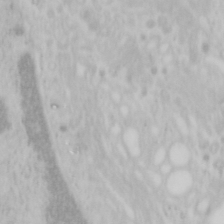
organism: Mouse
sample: OT-I killer T cells with ID8 ovarian cancer cells